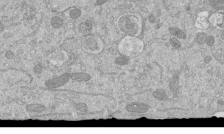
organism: Mouse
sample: ED-1 cell nuclei; centrioles